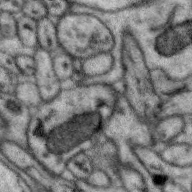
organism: Zebra finch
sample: Brain